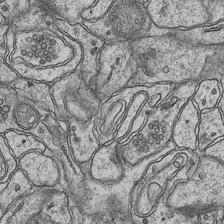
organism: Mouse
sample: CA1 Hippocampus